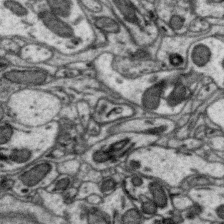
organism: Zebra finch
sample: Brain